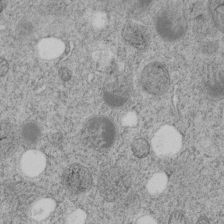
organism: C. elegans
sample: C. elegans embryo early stage